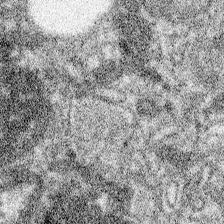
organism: Spongilla lacustris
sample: Neuroid cell